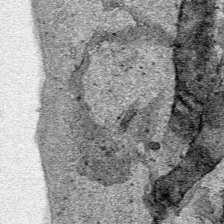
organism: Human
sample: Mitochondria in HCT116 cells